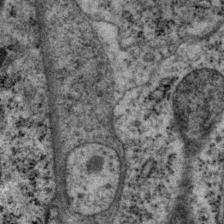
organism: P. pacificus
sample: Pharynx